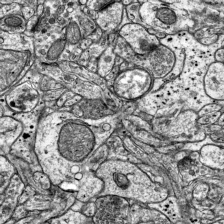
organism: Mouse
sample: Visual Cortex